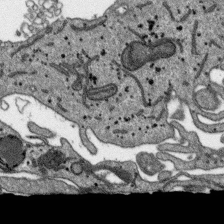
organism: Human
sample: Lung epithelial cells, uninfected (mock) control